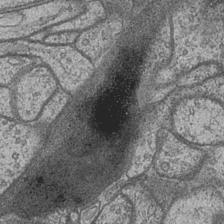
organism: Drosophila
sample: Optic medulla